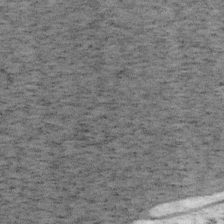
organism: Mouse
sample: OT-I killer T cells with ID8 ovarian cancer cells